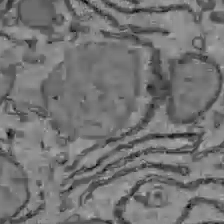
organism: C57BL Mouse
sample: Liver